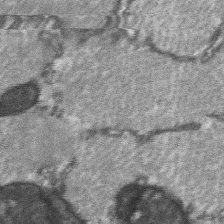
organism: C57BL Mouse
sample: Soleus